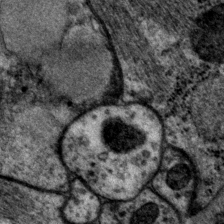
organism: P. pacificus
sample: Pharynx